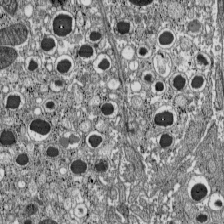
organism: C57BL Mouse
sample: Pancreatic islet